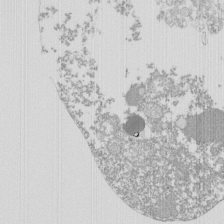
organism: Mouse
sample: Activated Pmel transgenic CD8+ T Cells